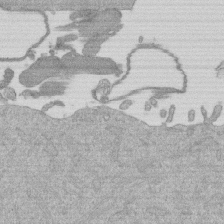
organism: Mouse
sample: Dividing mouse embryo 1 cell stage